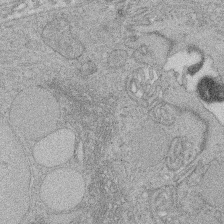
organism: Rat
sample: Salivary granule